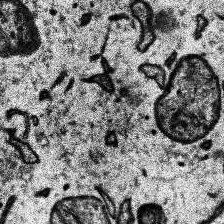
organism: Human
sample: Temporal Lobe